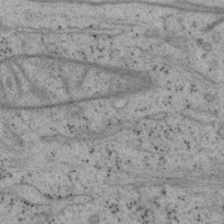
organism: Human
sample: HeLa cells